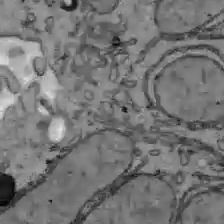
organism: C57BL Mouse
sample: Liver